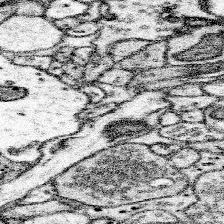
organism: Mouse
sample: Somatosensory cortex neuropil